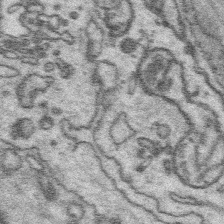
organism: Platynereis dumerilii